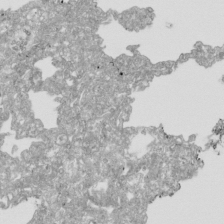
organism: Human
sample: Mitochondria in HCT116 cells